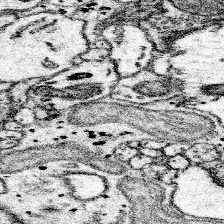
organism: Mouse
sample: Somatosensory cortex neuropil